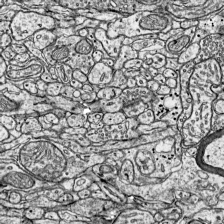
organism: Mouse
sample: Visual Cortex